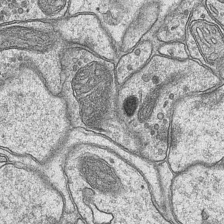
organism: Mouse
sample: CA1 Hippocampus